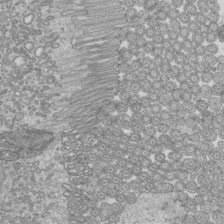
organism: Mouse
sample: Cilia; mouse epididymis